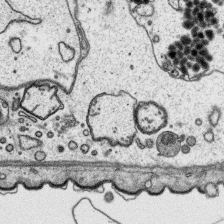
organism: Platynereis dumerilii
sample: Parapodia